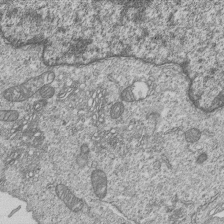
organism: Human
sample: MDA-MB-231 cells